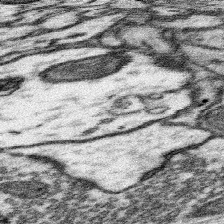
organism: Mouse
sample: Somatosensory cortex neuropil